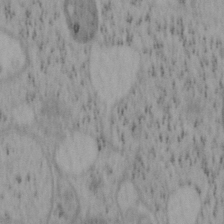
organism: Mouse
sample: OT-I killer T cells with ID8 ovarian cancer cells